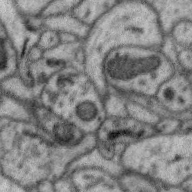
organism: Zebra finch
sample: Brain